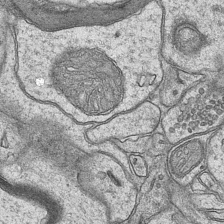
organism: Mouse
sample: CA1 Hippocampus